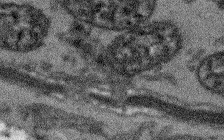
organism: Arabidopsis thaliana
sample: Root tip